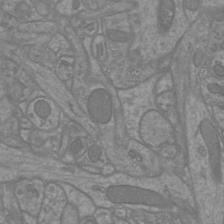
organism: Mouse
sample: Cortical neurons